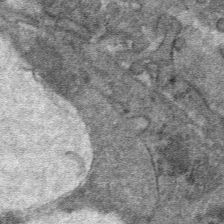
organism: Mouse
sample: Mouse hepatocytes